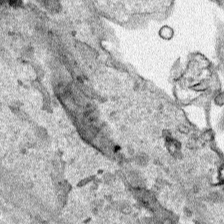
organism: Human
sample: Mitochondria in HCT116 cells